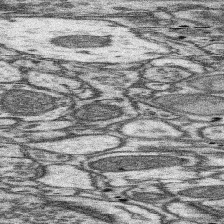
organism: Mouse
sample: Somatosensory cortex neuropil